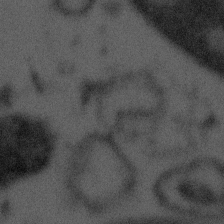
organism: Tuwongella immobilis